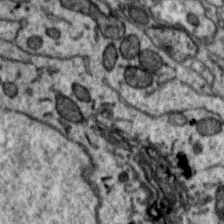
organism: Zebra finch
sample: Brain